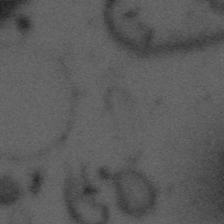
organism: Tuwongella immobilis